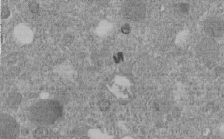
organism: C. elegans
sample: C. elegans embryo early stage